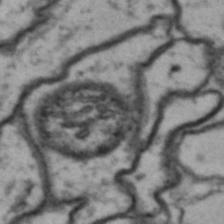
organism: Drosophila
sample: Brain